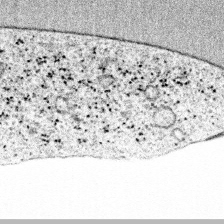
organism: Human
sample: HeLa cells